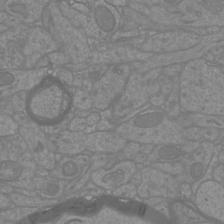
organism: Mouse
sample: Cortical neurons